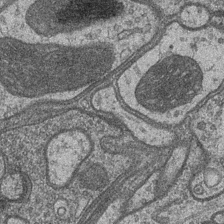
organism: Drosophila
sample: Optic medulla